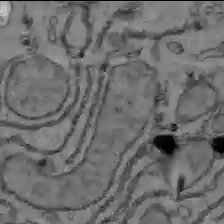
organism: C57BL Mouse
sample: Liver